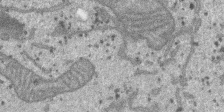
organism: Human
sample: Lung epithelial cells infected with SARS-CoV-2